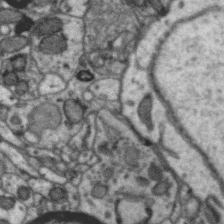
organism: Zebra finch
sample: Brain